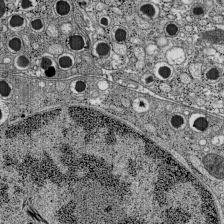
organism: C57BL Mouse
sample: Pancreatic islet